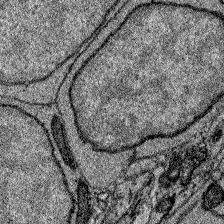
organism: Zebrafish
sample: Larval olfactory bulb